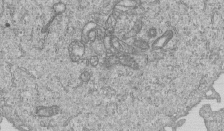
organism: Human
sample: MDA-MB-231 cells